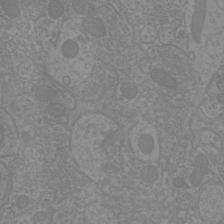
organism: Mouse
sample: Cortical neurons